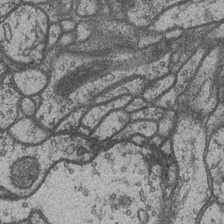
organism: Drosophila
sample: Optic medulla